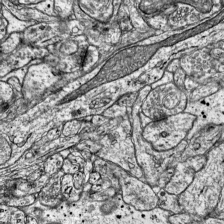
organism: Mouse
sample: Visual Cortex